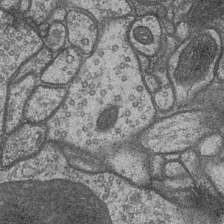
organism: Drosophila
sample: Optic medulla